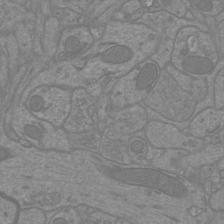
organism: Mouse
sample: Cortical neurons